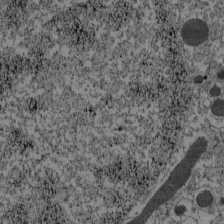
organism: C57BL Mouse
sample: Pancreatic islet